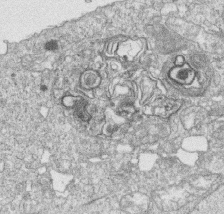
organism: Human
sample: HeLa cell HIV synapse